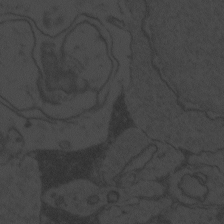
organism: Zebrafish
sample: Macrophage infected with Toxoplasma gondii